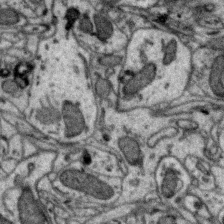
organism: Zebra finch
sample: Brain